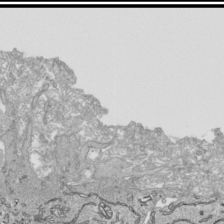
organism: Human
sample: Mitochondria in HCT116 cells